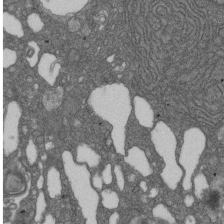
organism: Drosophila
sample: Nephrocyte